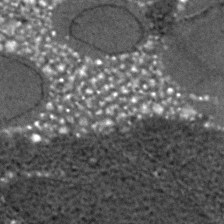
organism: C. elegans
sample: C. elegans embryo